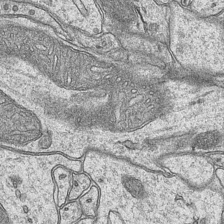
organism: Mouse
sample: CA1 Hippocampus